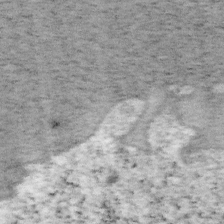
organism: Mouse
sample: OT-I killer T cells with ID8 ovarian cancer cells